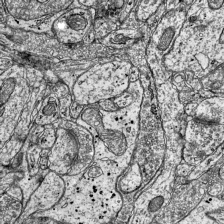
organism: Mouse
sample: Visual Cortex